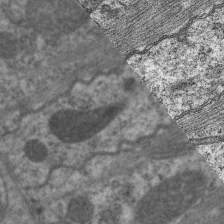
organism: C. elegans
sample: Pharynx